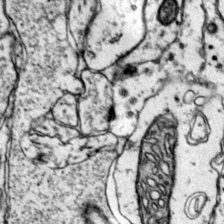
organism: Mouse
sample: Primary visual cortex